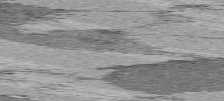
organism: C57BL Mouse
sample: Heart